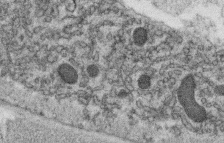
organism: C. elegans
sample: C. elegans oocyte; sperm cells